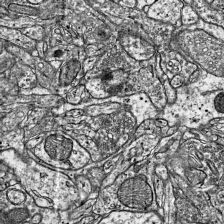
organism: Mouse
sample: Visual Cortex